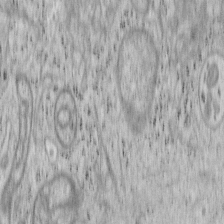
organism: Human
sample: HeLa cells